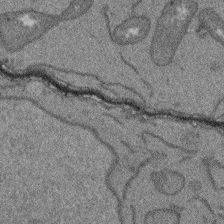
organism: Arabidopsis thaliana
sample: Root tip